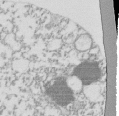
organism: Mouse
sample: Activated Pmel transgenic CD8+ T Cells